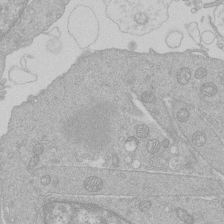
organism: Human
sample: Macrophage cells